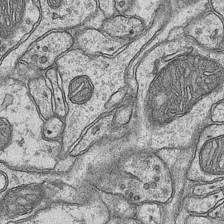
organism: Mouse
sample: CA1 Hippocampus